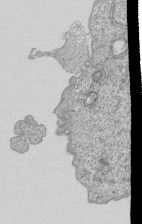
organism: Human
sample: MDA-MB-231 cells